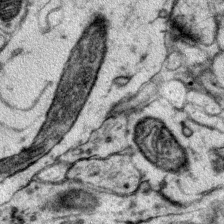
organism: Mouse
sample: Primary visual cortex